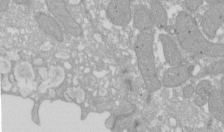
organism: Xenopus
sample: Cilia; centrioles in frog embryo cells